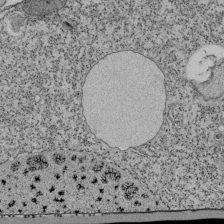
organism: Tetrahymena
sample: Cilia in tetrahymena